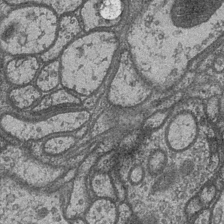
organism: Drosophila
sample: Optic medulla